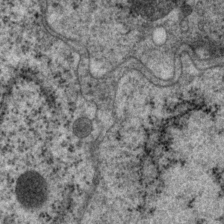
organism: P. pacificus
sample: Pharynx